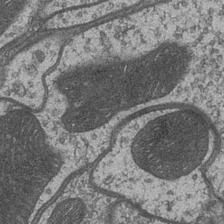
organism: Drosophila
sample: Optic medulla